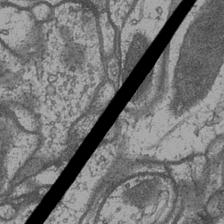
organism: Drosophila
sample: Optic medulla